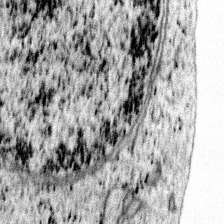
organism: Human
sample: HeLa cells